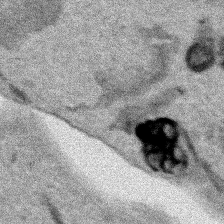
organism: Human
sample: Mitochondria in HCT116 cells